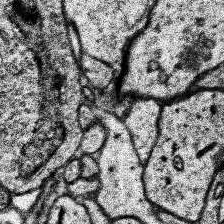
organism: Human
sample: Temporal Lobe